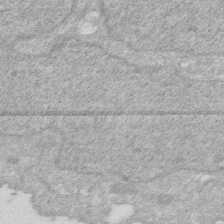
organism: Human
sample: HIV infected U937 cells